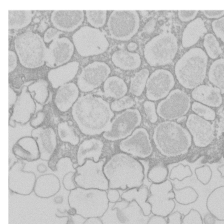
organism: Xenopus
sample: Cilia; centrioles in frog embryo cells